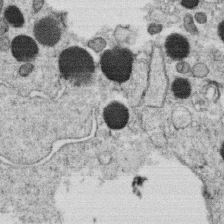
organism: C. elegans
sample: C. elegans oocyte; sperm cells